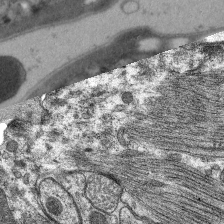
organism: C. elegans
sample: Pharynx